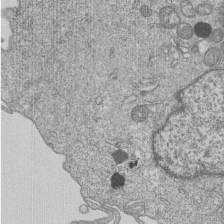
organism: Human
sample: MDA-MB-231 cells